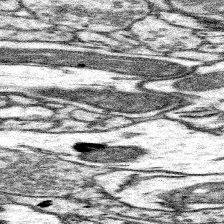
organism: Mouse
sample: Somatosensory cortex neuropil